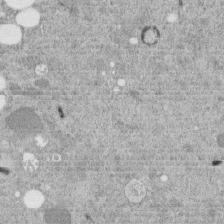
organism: C. elegans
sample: C. elegans embryo early stage